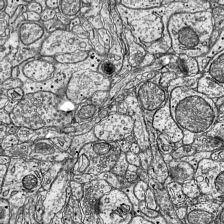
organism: Mouse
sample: Visual Cortex